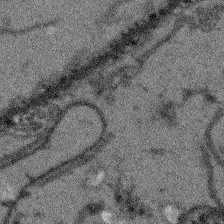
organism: Arabidopsis thaliana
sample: Root tip